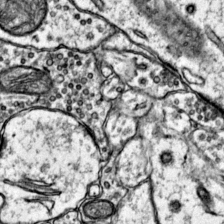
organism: Mouse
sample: Primary visual cortex